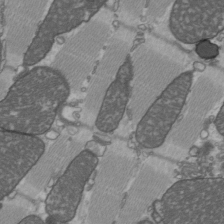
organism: C57BL Mouse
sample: Heart